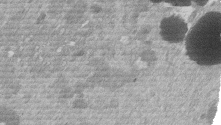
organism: Mouse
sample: Dividing mouse embryo 1 cell stage